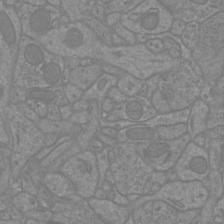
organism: Mouse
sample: Cortical neurons